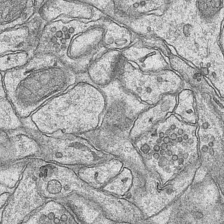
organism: Mouse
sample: CA1 Hippocampus